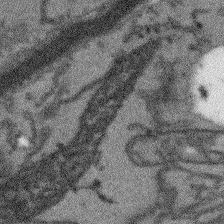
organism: Arabidopsis thaliana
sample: Root tip